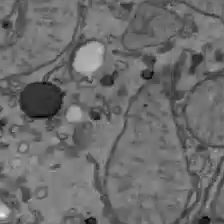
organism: C57BL Mouse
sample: Liver